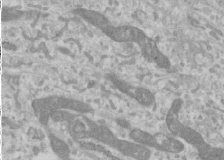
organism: Human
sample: Cilia; basal body in RPE cells